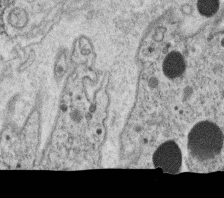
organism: C. elegans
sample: C. elegans oocyte; sperm cells